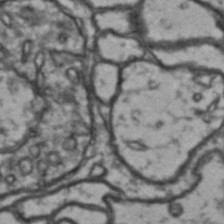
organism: Drosophila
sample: Brain